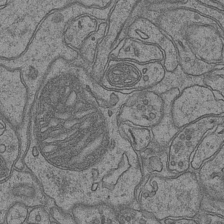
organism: Mouse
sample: CA1 Hippocampus